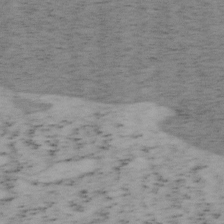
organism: Mouse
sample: OT-I killer T cells with ID8 ovarian cancer cells